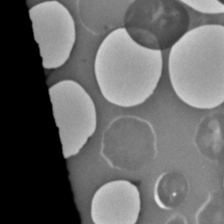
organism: C. elegans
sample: C. elegans embryo